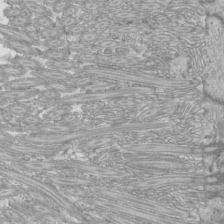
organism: Mouse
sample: Cilia; mouse epididymis